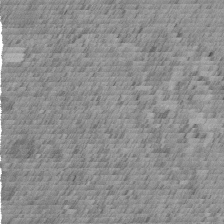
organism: C. elegans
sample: C. elegans embryo early stage